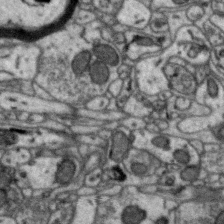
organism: Zebra finch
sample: Brain